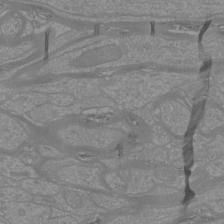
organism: Mouse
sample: Cortical neurons